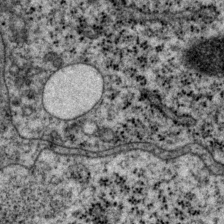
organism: P. pacificus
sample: Pharynx